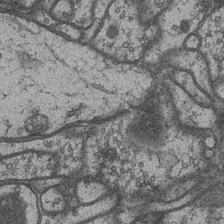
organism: Drosophila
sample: Optic medulla